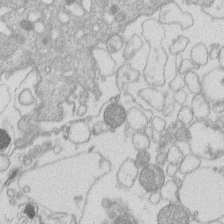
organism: Human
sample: Macrophage cells